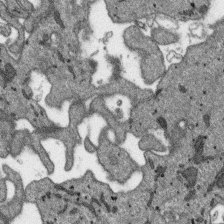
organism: Human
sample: Lung epithelial cells, uninfected (mock) control